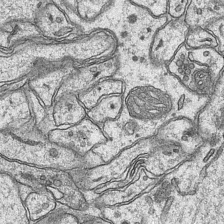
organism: Mouse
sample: CA1 Hippocampus